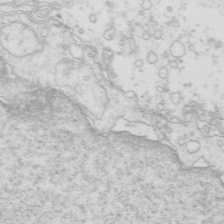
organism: Mouse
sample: Multiciliated cells